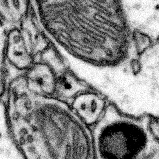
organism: Mouse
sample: Somatosensory cortex neuropil